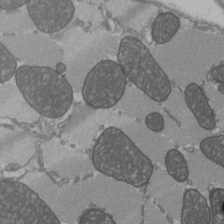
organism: C57BL Mouse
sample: Heart